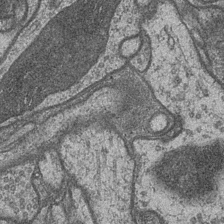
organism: Drosophila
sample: Optic medulla